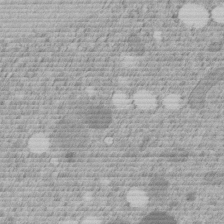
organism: C. elegans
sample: C. elegans embryo early stage